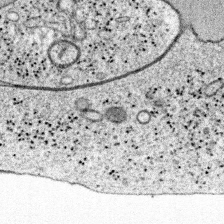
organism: Human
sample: HeLa cells